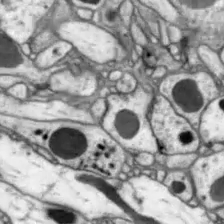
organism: Drosophila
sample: Optic lobe